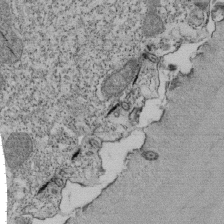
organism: Tetrahymena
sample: Cilia in tetrahymena